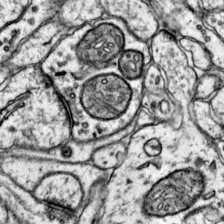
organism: Mouse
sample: Primary visual cortex